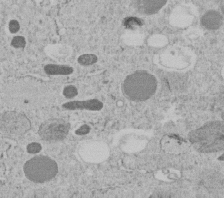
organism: C. elegans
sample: C. elegans embryo early stage